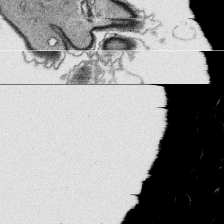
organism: Platynereis dumerilii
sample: Parapodia